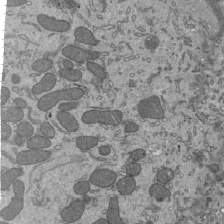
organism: Mouse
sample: Mouse epididymis efferent ductule cilia